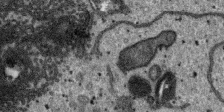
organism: Human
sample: Lung epithelial cells, uninfected (mock) control